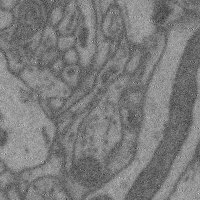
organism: Mouse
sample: Cerebral cortex